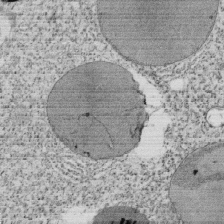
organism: Tetrahymena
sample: Cilia in tetrahymena